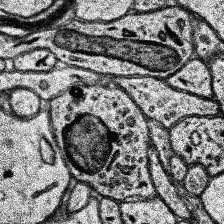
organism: Human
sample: Temporal Lobe